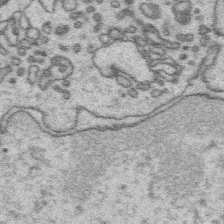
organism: Platynereis dumerilii